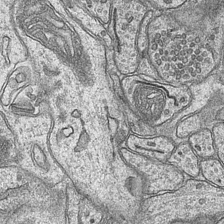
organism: Mouse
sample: CA1 Hippocampus